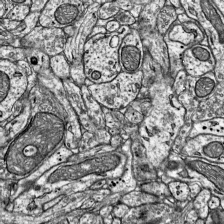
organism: Mouse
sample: Visual Cortex